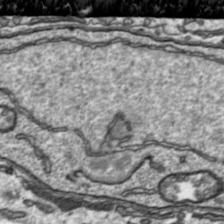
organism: Toxoplasma gondii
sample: Parasites in a vacuole inside a host cell